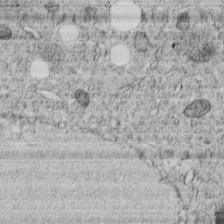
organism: C. elegans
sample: C. elegans embryo early stage